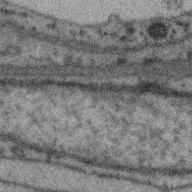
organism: Zebra finch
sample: Brain